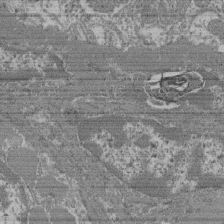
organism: Mouse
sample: Glomerulus